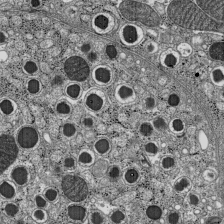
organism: C57BL Mouse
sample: Pancreatic islet